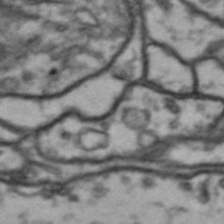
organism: Drosophila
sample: Brain